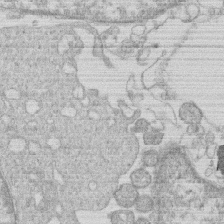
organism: Human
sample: Macrophage cells